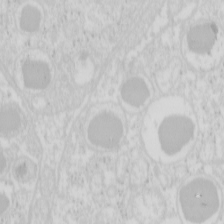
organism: Mouse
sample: Pancreas